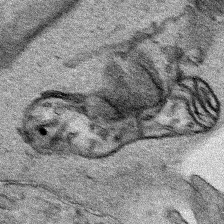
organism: Human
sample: Mitochondria in HCT116 cells